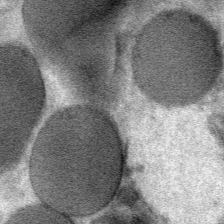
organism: Mouse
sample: Mouse Salivary gland